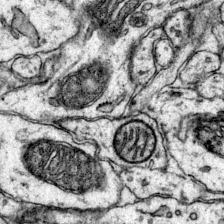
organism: Mouse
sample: Primary visual cortex